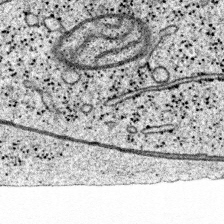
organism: Human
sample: HeLa cells